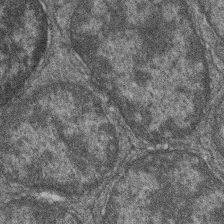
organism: Zebrafish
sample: Cilia; retinal pigment epithelium